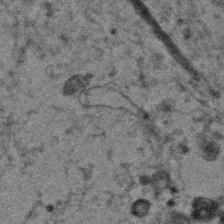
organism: Human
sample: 1205lu cells